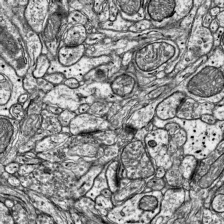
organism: Mouse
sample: Visual Cortex